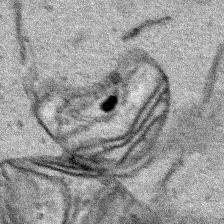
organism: Human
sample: Mitochondria in HCT116 cells